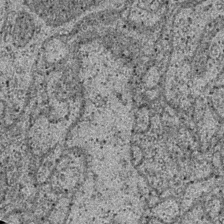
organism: Drosophila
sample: Optic medulla